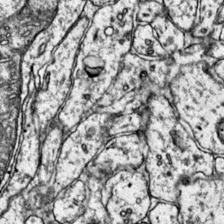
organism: Mouse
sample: Primary visual cortex